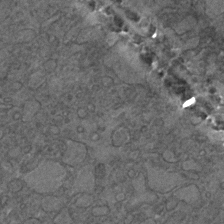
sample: Trachea